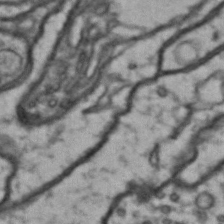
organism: Drosophila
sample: Brain